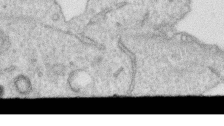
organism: Human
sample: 1205lu cells